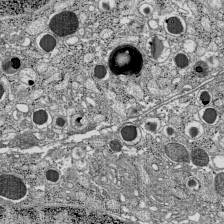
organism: C57BL Mouse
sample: Pancreatic islet